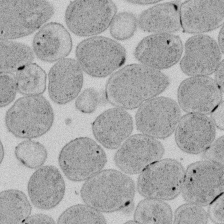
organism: E. coli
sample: Bacterial nucleoid